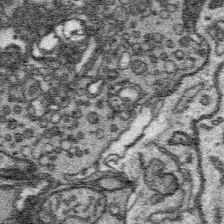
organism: Platynereis dumerilii